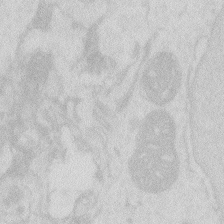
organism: Zebrafish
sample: Macrophage